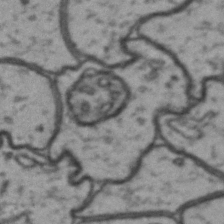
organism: Drosophila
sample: Brain